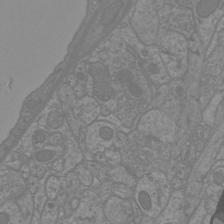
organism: Mouse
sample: Cortical neurons